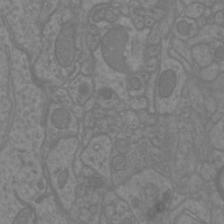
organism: Mouse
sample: Cortical neurons